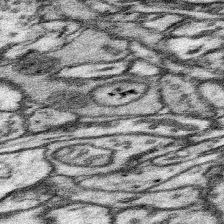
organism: Mouse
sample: Somatosensory cortex neuropil